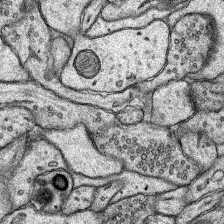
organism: Rat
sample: Hippocampus